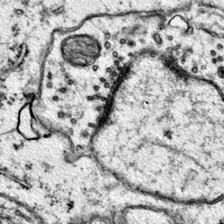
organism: Mouse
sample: Primary visual cortex